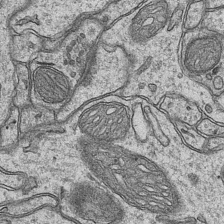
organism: Mouse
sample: CA1 Hippocampus